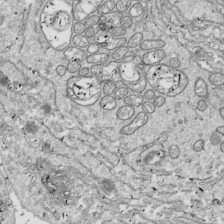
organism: Drosophila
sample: Cell division; meiosis; drosophila spermatocytes